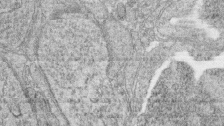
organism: Zebrafish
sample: synaptic ribbons in rod cells and cone cells